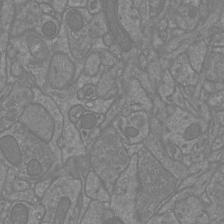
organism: Mouse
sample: Cortical neurons